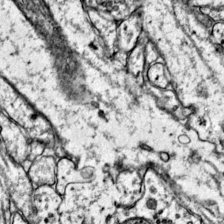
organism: Mouse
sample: Primary visual cortex